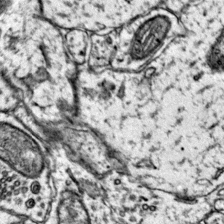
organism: Mouse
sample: Primary visual cortex